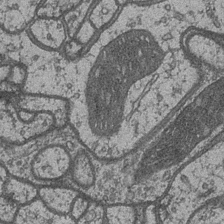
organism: Drosophila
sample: Optic medulla